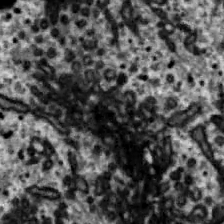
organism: Human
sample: HeLa cells